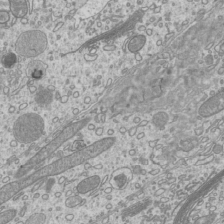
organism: Mouse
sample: Cilia; mouse epididymis